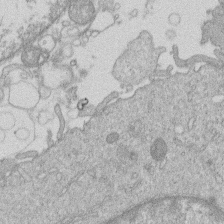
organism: Human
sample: Macrophage cells